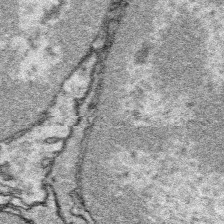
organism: Platynereis dumerilii